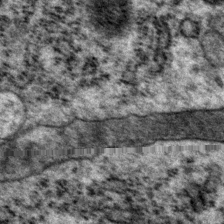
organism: P. pacificus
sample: Pharynx